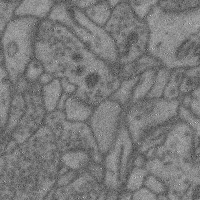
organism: Mouse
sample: Cerebral cortex